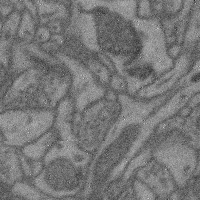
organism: Mouse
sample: Cerebral cortex